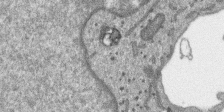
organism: Human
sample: Lung epithelial cells infected with SARS-CoV-2